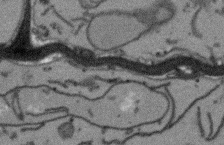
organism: Arabidopsis thaliana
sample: Root tip